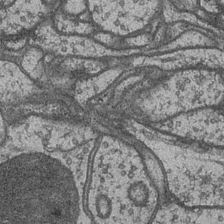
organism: Drosophila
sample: Optic medulla